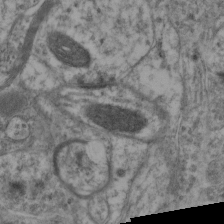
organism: Mouse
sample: Neocortex